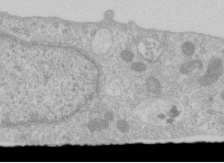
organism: Human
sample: Centriole in RPE cells